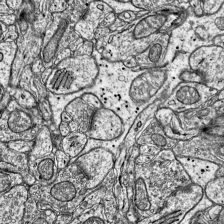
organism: Mouse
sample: Visual Cortex